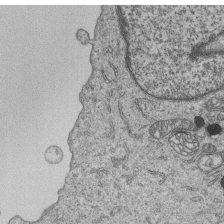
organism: Human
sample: MDA-MB-231 cells